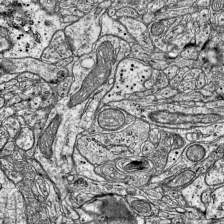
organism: Mouse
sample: Visual Cortex